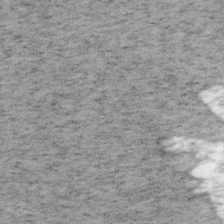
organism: Mouse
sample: OT-I killer T cells with ID8 ovarian cancer cells